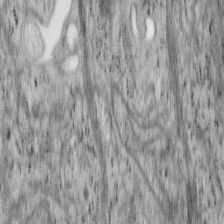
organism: Human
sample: HeLa cells